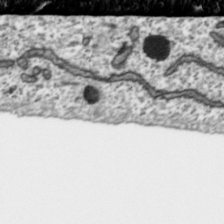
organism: Toxoplasma gondii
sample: Parasites in a vacuole inside a host cell